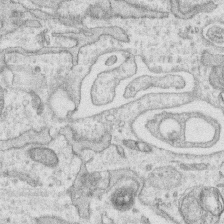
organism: Human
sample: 1205lu cells